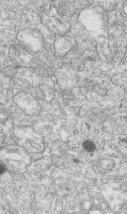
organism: Human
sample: HeLa cell HIV synapse